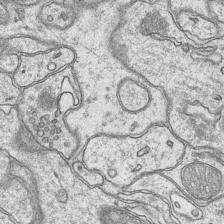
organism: Mouse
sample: CA1 Hippocampus